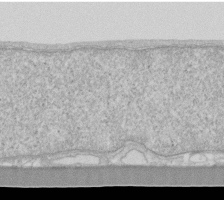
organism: Human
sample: Fibroblast cells